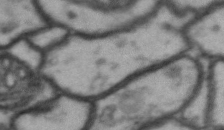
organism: Drosophila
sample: Brain